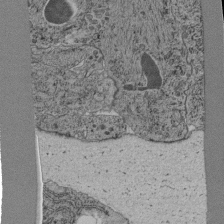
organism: C. elegans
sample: C. elegans pharynx